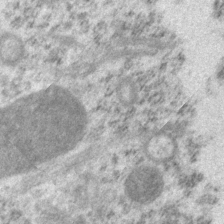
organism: P. pacificus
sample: Pharynx